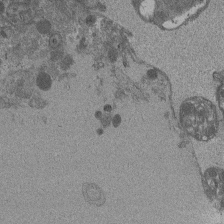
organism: Drosophila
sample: Antenna